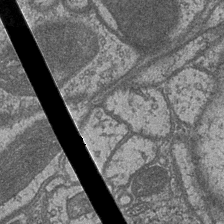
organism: Drosophila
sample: Optic medulla